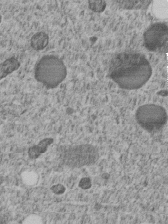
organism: C. elegans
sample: C. elegans embryo early stage